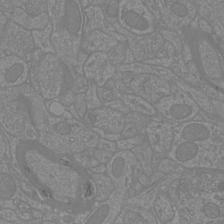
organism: Mouse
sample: Cortical neurons